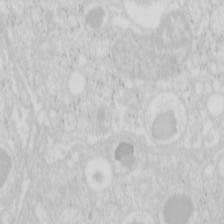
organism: Mouse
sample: Pancreas